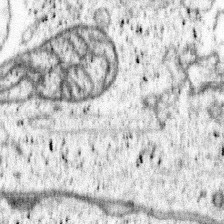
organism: Human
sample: HeLa cells